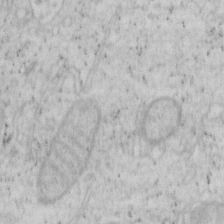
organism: Human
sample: HeLa cells